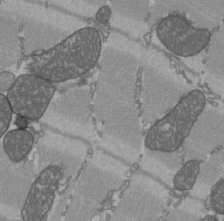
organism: C57BL Mouse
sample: Heart